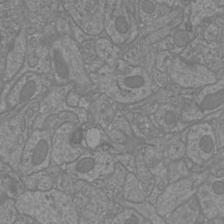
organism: Mouse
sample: Cortical neurons